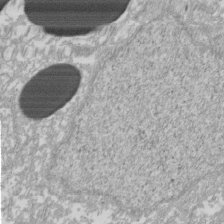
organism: Xenopus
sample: Cilia; centrioles in frog embryo cells